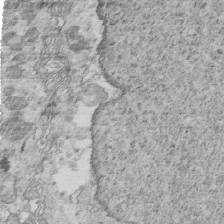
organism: Mouse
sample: Multiciliated cells